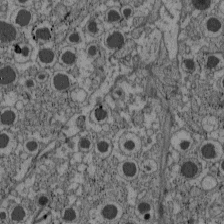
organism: C57BL Mouse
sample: Pancreatic islet